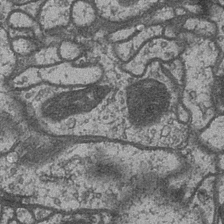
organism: Drosophila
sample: Optic medulla